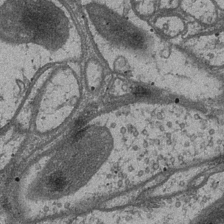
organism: Drosophila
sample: Optic medulla